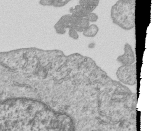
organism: Human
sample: MDA-MB-231 cells